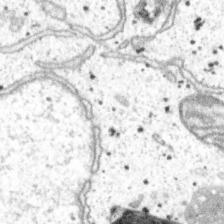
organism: Human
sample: HeLa cells